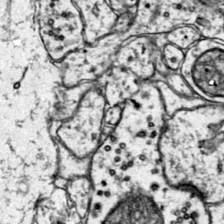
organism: Mouse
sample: Primary visual cortex